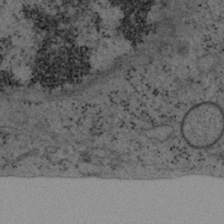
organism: Human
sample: HeLa cells